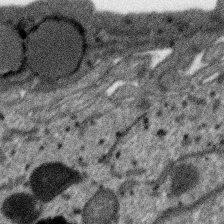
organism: Human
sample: Lung epithelial cells infected with SARS-CoV-2